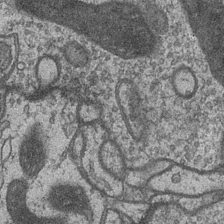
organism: Drosophila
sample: Optic medulla